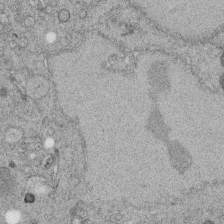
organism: C. elegans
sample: C. elegans embryo early stage